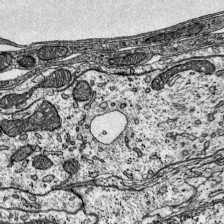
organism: Mouse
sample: Visual Cortex